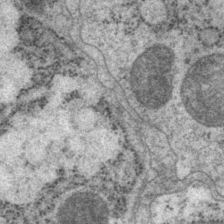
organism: P. pacificus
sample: Pharynx